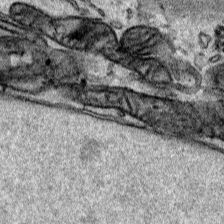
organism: Human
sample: Mitochondria in HCT116 cells